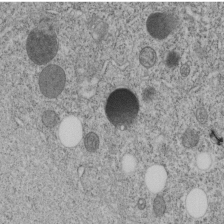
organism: C. elegans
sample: C. elegans embryo early stage